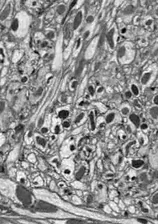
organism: Drosophila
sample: Optic lobe